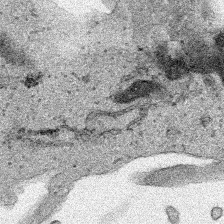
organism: Human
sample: Mitochondria in HCT116 cells